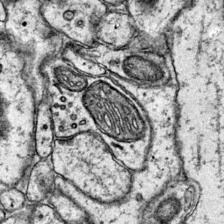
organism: Mouse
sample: Primary visual cortex